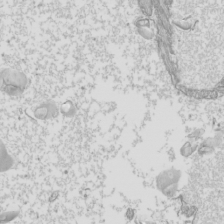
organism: Mouse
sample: Cilia; mouse epididymis